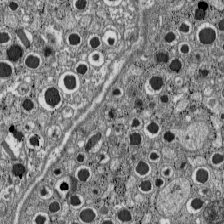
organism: C57BL Mouse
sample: Pancreatic islet